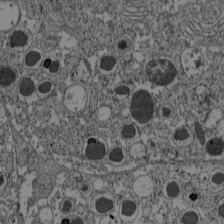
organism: C57BL Mouse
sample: Pancreatic islet